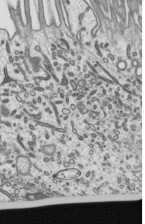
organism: Mouse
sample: Mouse epididymis efferent ductule cilia